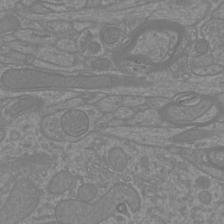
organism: Mouse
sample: Cortical neurons